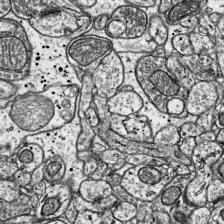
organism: Mouse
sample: Visual Cortex